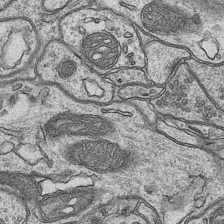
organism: Mouse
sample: CA1 Hippocampus